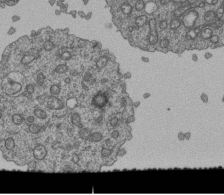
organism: Human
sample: Retinal organoid Rod and Cone cells